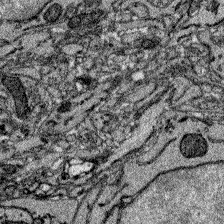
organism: Zebrafish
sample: Larval olfactory bulb